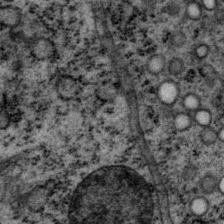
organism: P. pacificus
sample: Pharynx